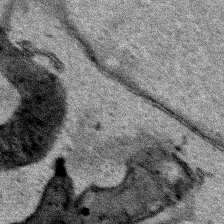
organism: Human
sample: Mitochondria in HCT116 cells